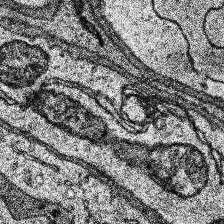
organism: Human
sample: Temporal Lobe